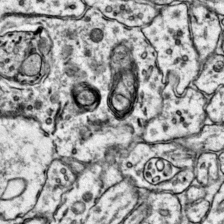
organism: Mouse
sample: Primary visual cortex